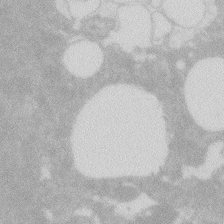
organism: Zebrafish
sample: Macrophage